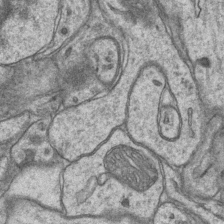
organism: Mouse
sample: CA1 Hippocampus